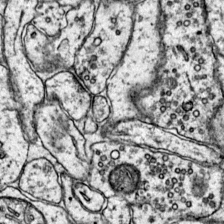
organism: Mouse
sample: Primary visual cortex